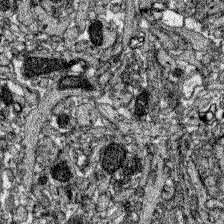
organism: Zebrafish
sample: Larval olfactory bulb